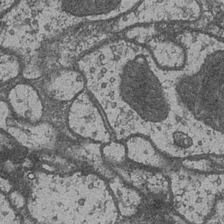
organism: Drosophila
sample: Optic medulla